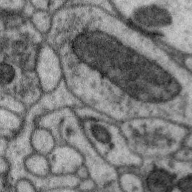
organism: Zebra finch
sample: Brain